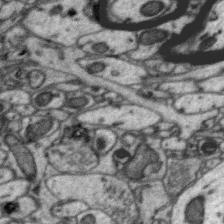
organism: Zebra finch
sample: Brain